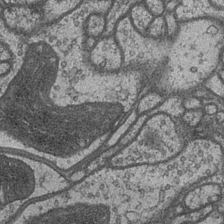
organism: Drosophila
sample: Optic medulla